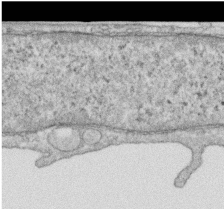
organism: Human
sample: Centriole in RPE cells